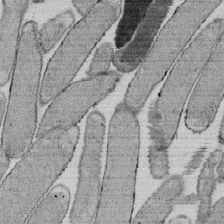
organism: E. coli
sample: Bacterial nucleoid